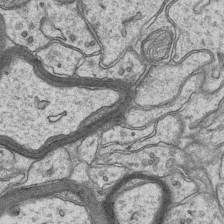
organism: Mouse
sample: CA1 Hippocampus